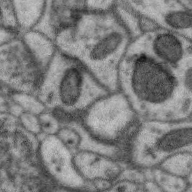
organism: Zebra finch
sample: Brain